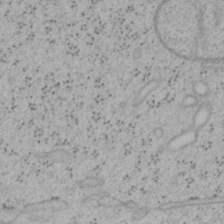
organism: Human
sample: HeLa cells